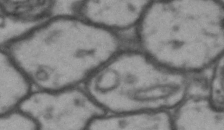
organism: Drosophila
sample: Brain